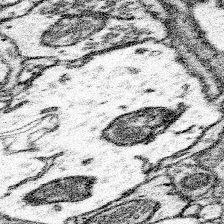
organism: Mouse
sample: Somatosensory cortex neuropil